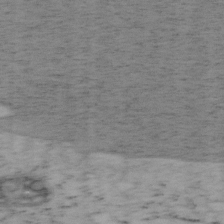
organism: Mouse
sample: OT-I killer T cells with ID8 ovarian cancer cells